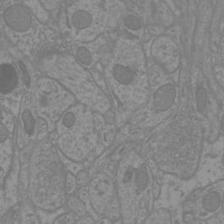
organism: Mouse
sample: Cortical neurons